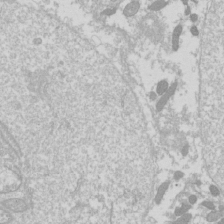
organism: Drosophila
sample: Cell division; meiosis; drosophila spermatocytes